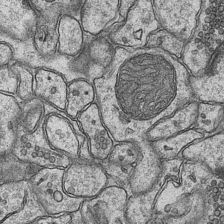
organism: Mouse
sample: CA1 Hippocampus